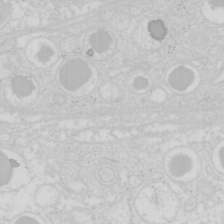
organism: Mouse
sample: Pancreas